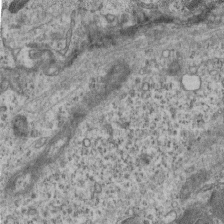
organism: Mouse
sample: Centriole in ependymal cells